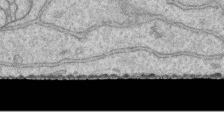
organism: Human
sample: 1205lu cells